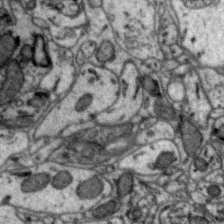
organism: Zebra finch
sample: Brain